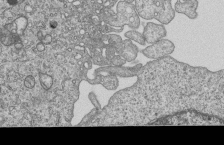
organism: Human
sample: MDA-MB-231 cells